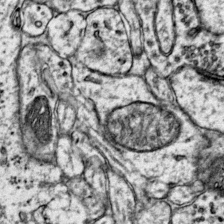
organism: Mouse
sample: Primary visual cortex